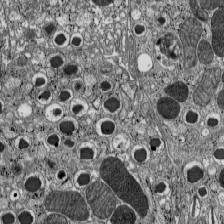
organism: C57BL Mouse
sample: Pancreatic islet